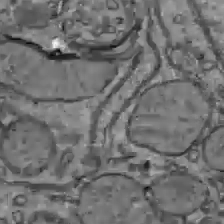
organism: C57BL Mouse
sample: Liver